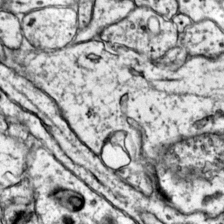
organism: Mouse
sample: Primary visual cortex